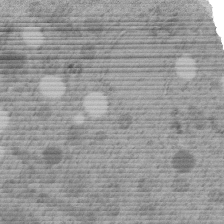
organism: C. elegans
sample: C. elegans embryo early stage